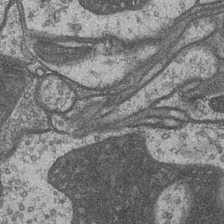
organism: Drosophila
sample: Optic medulla